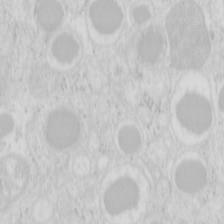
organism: Mouse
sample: Pancreas